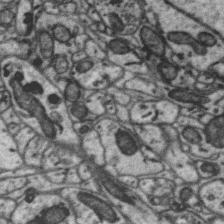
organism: Zebra finch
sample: Brain